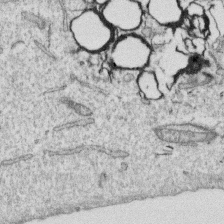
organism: Human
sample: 1205lu cells